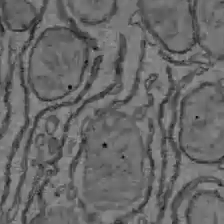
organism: C57BL Mouse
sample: Liver